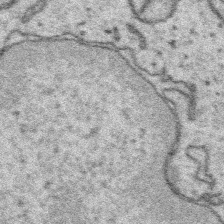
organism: Platynereis dumerilii